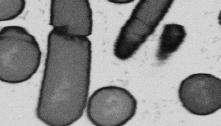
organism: B. subtilis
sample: Bacterial spore